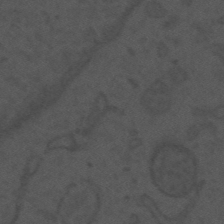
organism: Mouse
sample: Suprachiasmatic nucleus